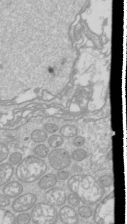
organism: Drosophila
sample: Cell division; meiosis; drosophila spermatocytes